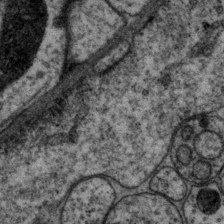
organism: P. pacificus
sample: Pharynx